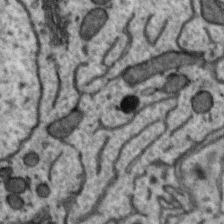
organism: Zebra finch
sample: Brain